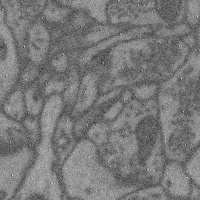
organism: Mouse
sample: Cerebral cortex